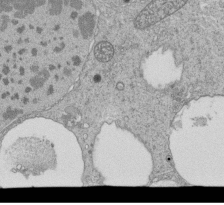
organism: Tetrahymena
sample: Cilia in tetrahymena